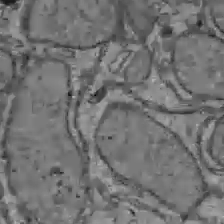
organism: C57BL Mouse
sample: Liver